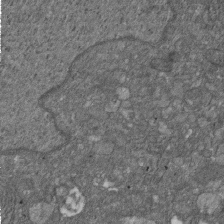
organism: Drosophila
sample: Nephrocyte